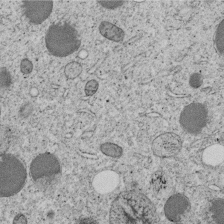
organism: C. elegans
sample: C. elegans embryo early stage